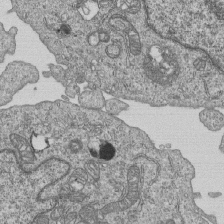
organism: Human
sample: MDA-MB-231 cells